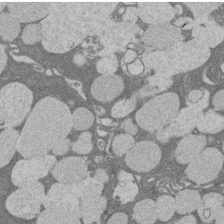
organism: Rat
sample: Salivary granule